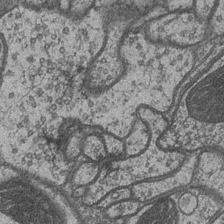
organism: Drosophila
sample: Optic medulla